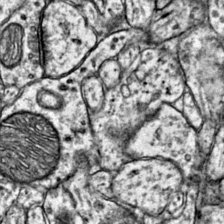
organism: Mouse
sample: Primary visual cortex